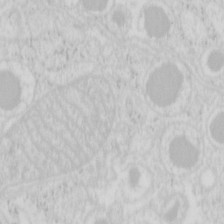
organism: Mouse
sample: Pancreas